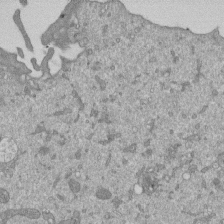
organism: Mouse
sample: ED-1 cell nuclei; centrioles